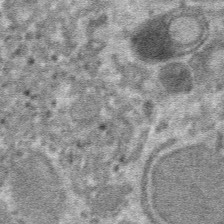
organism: Mouse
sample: Mouse hepatocytes